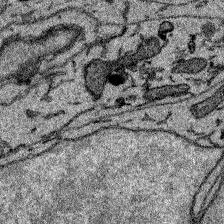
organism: Zebrafish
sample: Larval olfactory bulb